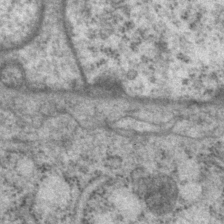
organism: P. pacificus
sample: Pharynx